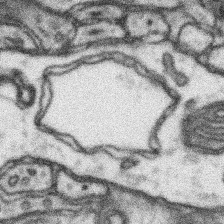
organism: Mouse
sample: Somatosensory cortex neuropil